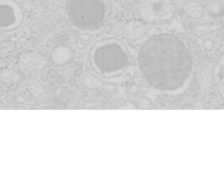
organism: Mouse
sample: Pancreas